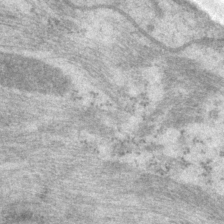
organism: P. pacificus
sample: Pharynx